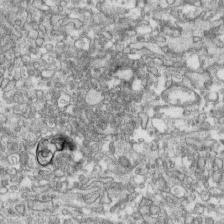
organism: Human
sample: CRL-1474